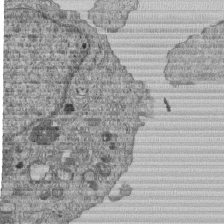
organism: Human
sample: MDA-MB-231 cells